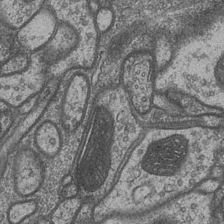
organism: Drosophila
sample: Optic medulla